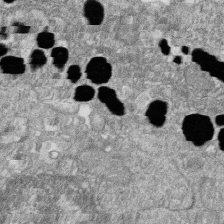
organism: Zebrafish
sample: Cilia; retinal pigment epithelium